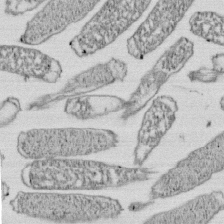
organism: E. coli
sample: Bacterial nucleoid